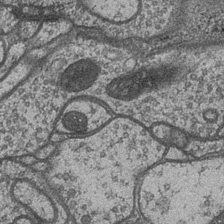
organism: Drosophila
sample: Optic medulla